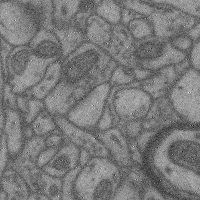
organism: Mouse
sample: Cerebral cortex